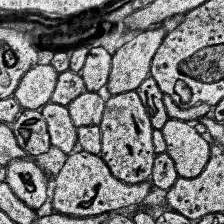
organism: Human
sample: Temporal Lobe